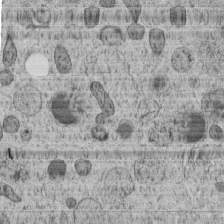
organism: C. elegans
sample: C. elegans embryo early stage